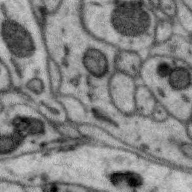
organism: Zebra finch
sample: Brain